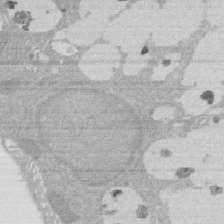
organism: Rat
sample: Salivary granule